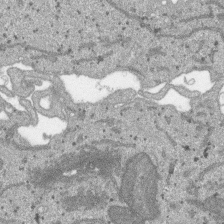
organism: Human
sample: Lung epithelial cells infected with SARS-CoV-2